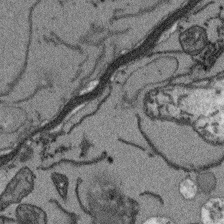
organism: Arabidopsis thaliana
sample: Root tip